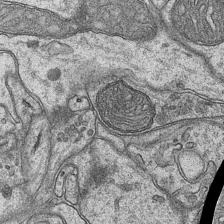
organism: Mouse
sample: CA1 Hippocampus